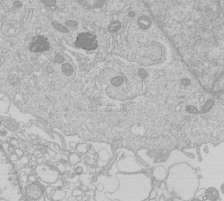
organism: Human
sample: Macrophage cells